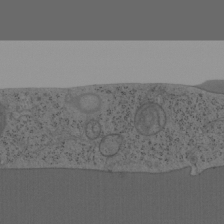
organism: Human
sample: HeLa cells